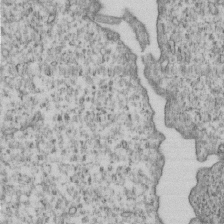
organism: Human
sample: MDA-MB-231 cells